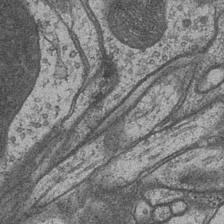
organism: Drosophila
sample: Optic medulla